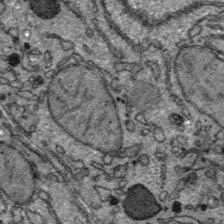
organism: C57BL Mouse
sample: Liver